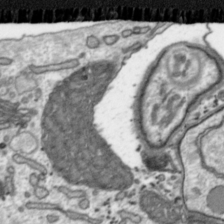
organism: Toxoplasma gondii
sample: Parasites in a vacuole inside a host cell